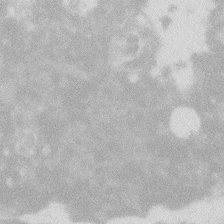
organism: Zebrafish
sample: Macrophage